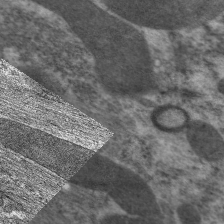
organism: C. elegans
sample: Pharynx